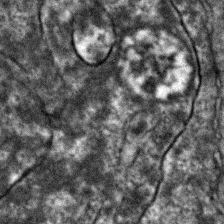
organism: Zebrafish